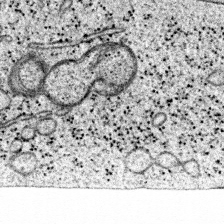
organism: Human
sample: HeLa cells